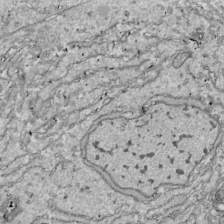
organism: Drosophila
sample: Cell division; meiosis; drosophila spermatocytes